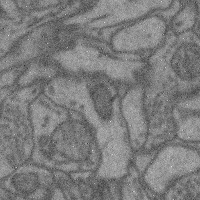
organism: Mouse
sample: Cerebral cortex